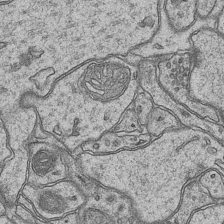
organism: Mouse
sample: CA1 Hippocampus